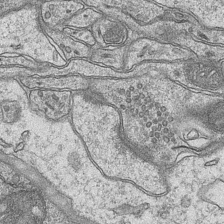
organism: Mouse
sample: CA1 Hippocampus